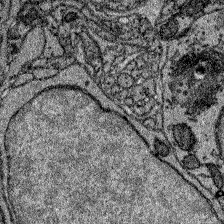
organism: Zebrafish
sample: Larval olfactory bulb